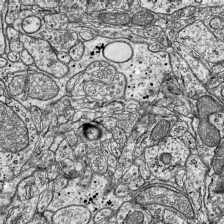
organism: Mouse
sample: Visual Cortex